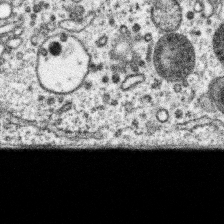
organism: Human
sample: HeLa cells